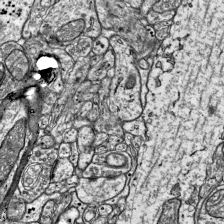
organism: Mouse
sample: Visual Cortex